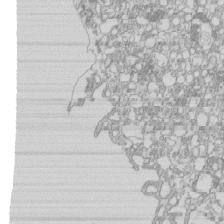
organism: Mouse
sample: Macrophages